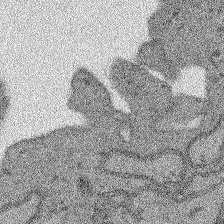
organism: Human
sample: HeLa cells